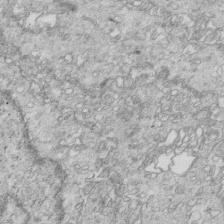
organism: Mouse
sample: Multiciliated cells